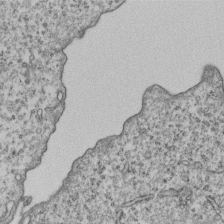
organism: Human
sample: MDA-MB-231 cells